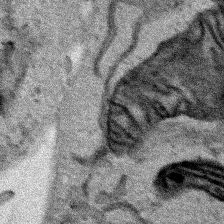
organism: Human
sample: Mitochondria in HCT116 cells